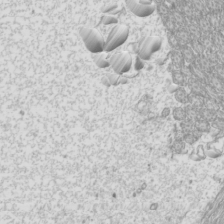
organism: Mouse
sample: Cilia; mouse epididymis